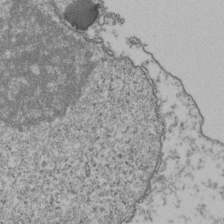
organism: Human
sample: Activated Jurkat CD4+ T cells